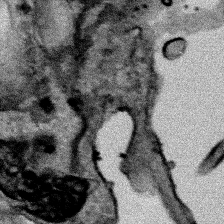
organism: Human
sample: Mitochondria in HCT116 cells